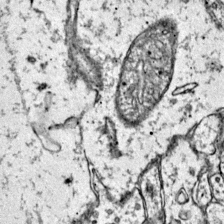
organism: Mouse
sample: Primary visual cortex